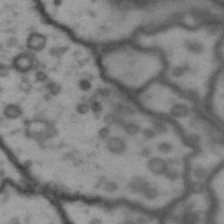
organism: Drosophila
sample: Brain